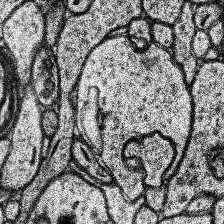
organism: Human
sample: Temporal Lobe